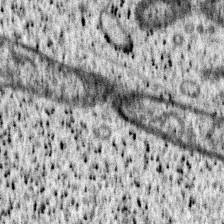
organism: Human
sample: HeLa cells